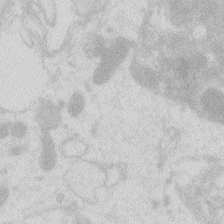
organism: Zebrafish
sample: Macrophage